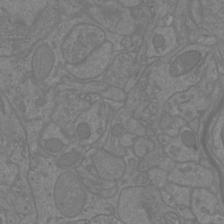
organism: Mouse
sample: Cortical neurons